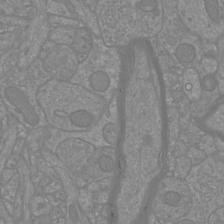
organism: Mouse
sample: Cortical neurons